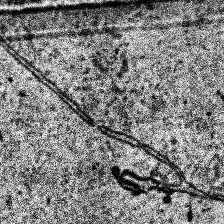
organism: Human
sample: Temporal Lobe